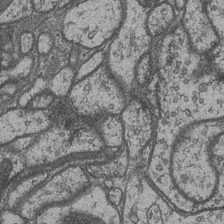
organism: Drosophila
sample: Optic medulla